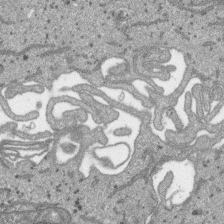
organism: Human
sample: Lung epithelial cells infected with SARS-CoV-2